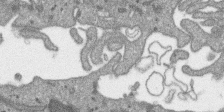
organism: Human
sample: Lung epithelial cells infected with SARS-CoV-2